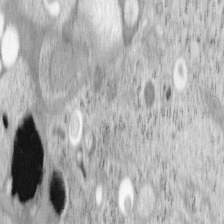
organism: Human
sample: HeLa cells